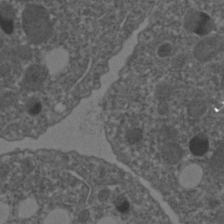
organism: C. elegans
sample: C. elegans embryo